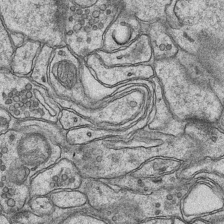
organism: Mouse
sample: CA1 Hippocampus